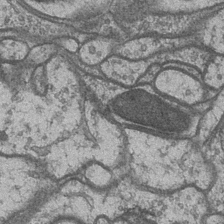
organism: Drosophila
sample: Optic medulla